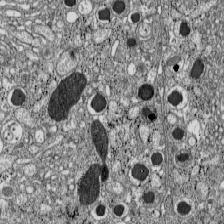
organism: C57BL Mouse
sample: Pancreatic islet